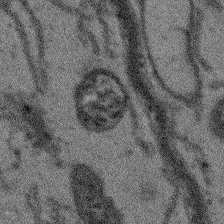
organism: Arabidopsis thaliana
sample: Root tip